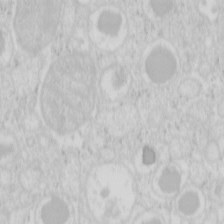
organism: Mouse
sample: Pancreas